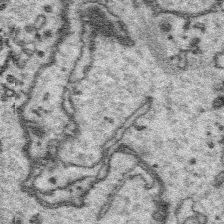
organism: Platynereis dumerilii